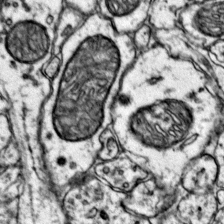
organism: Mouse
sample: Primary visual cortex